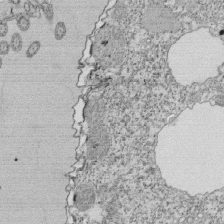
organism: Tetrahymena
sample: Cilia in tetrahymena